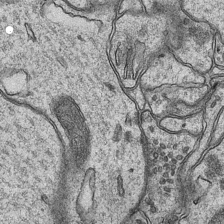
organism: Mouse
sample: CA1 Hippocampus